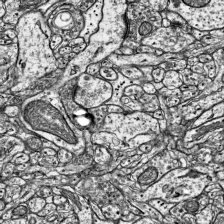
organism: Mouse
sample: Visual Cortex